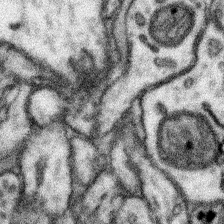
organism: Mouse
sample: Somatosensory cortex neuropil